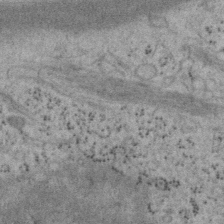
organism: Human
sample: HeLa cells